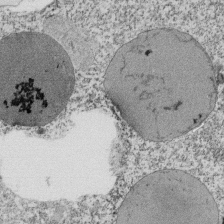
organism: Tetrahymena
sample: Cilia in tetrahymena